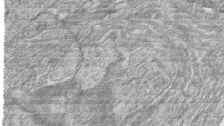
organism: Zebrafish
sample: synaptic ribbons in rod cells and cone cells